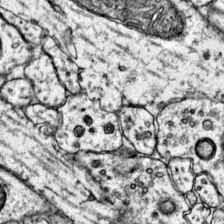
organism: Mouse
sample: Primary visual cortex